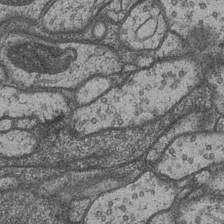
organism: Drosophila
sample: Optic medulla